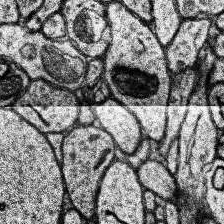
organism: Human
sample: Temporal Lobe